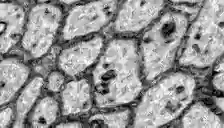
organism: Zebrafish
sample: Brain